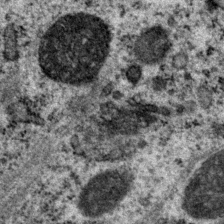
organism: P. pacificus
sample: Pharynx